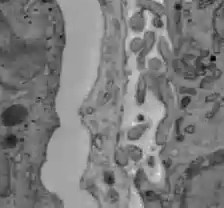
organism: C57BL Mouse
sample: Liver